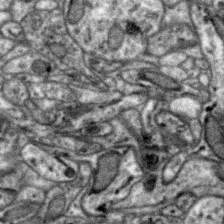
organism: Zebra finch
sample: Brain